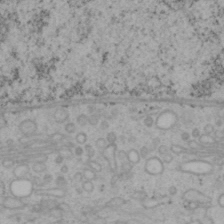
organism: Human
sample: HeLa cells